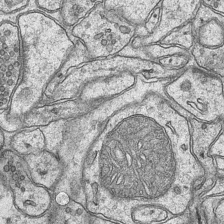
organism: Mouse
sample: CA1 Hippocampus